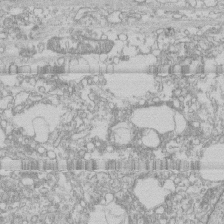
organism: Human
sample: CRL-1474